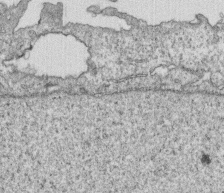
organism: Human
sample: HeLa cell HIV synapse